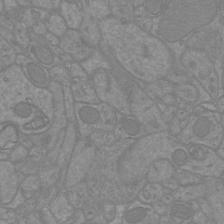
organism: Mouse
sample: Cortical neurons